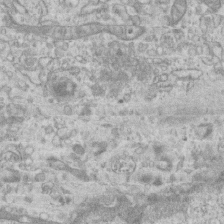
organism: Mouse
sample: Centriole in ependymal cells